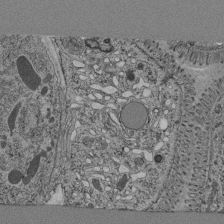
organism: C. elegans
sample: C. elegans pharynx